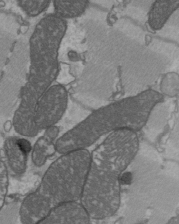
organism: C57BL Mouse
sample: Heart